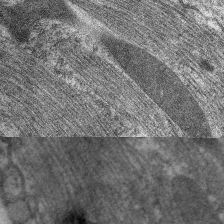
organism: C. elegans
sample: Pharynx